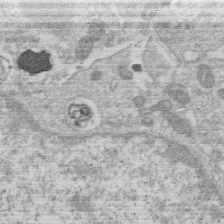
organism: Human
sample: Macrophage cells